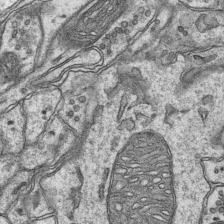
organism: Mouse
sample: CA1 Hippocampus